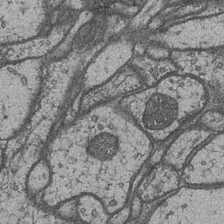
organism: Drosophila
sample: Optic medulla